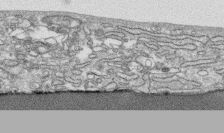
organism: Human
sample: CRL-1474